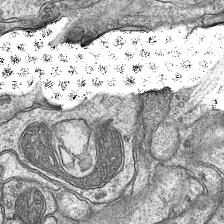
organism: Mouse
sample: CA1 Hippocampus